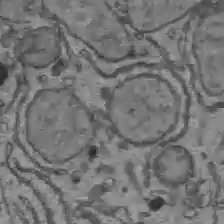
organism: C57BL Mouse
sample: Liver